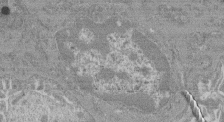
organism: Mouse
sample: Glomerulus